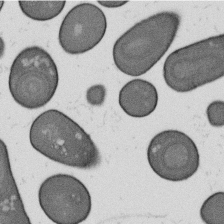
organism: B. subtilis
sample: Bacterial spore